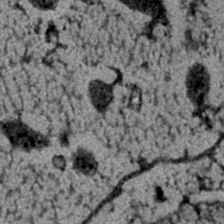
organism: C. elegans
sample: C. elegans embryo